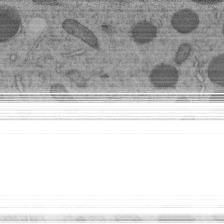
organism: C. elegans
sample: C. elegans embryo early stage